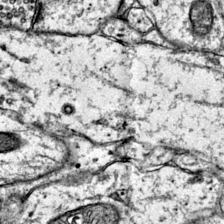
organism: Mouse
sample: Primary visual cortex